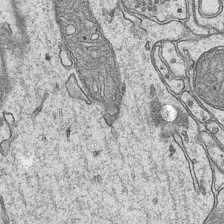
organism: Mouse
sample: CA1 Hippocampus